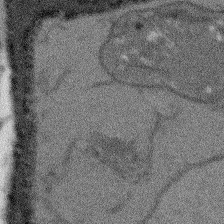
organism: Arabidopsis thaliana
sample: Root tip